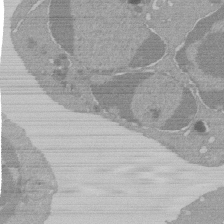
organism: Mouse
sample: Activated Pmel transgenic CD8+ T Cells